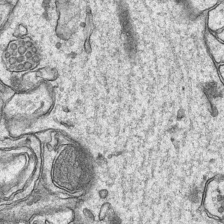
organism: Mouse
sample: CA1 Hippocampus